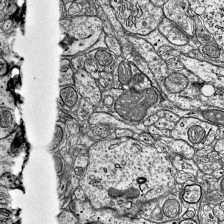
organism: Mouse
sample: Visual Cortex